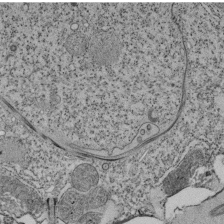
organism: Tetrahymena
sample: Cilia in tetrahymena